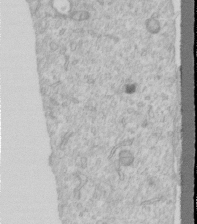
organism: Human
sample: Centriole in RPE cells